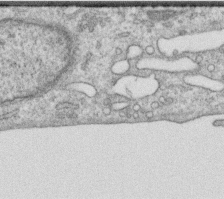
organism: Human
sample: Centriole in RPE cells